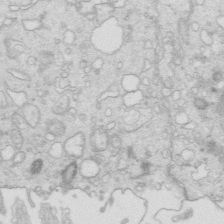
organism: Mouse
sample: Multiciliated cells